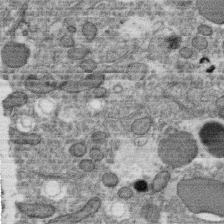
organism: C. elegans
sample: C. elegans oocyte; sperm cells